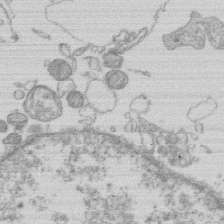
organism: Human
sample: Macrophage cells